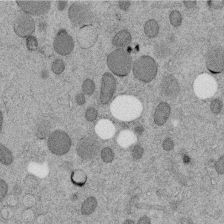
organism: C. elegans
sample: C. elegans embryo early stage